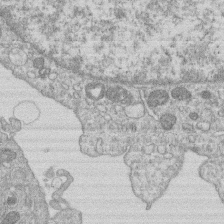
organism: Human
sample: Macrophage cells